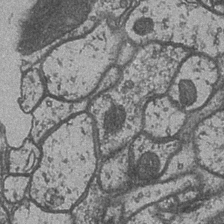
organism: Drosophila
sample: Optic medulla